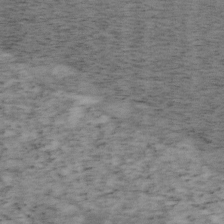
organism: Mouse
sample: OT-I killer T cells with ID8 ovarian cancer cells